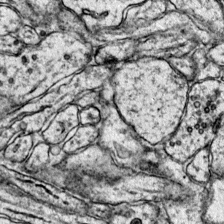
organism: Mouse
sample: Primary visual cortex